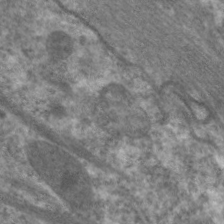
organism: C. elegans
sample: Pharynx